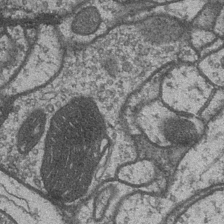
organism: Drosophila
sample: Optic medulla